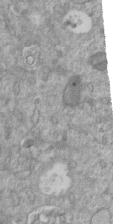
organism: Mouse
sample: ED-1 cell nuclei; centrioles